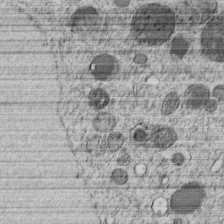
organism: C. elegans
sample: C. elegans embryo early stage